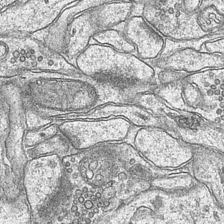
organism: Mouse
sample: CA1 Hippocampus